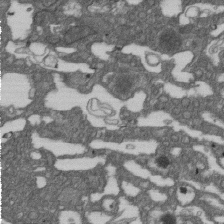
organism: Drosophila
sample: Nephrocyte